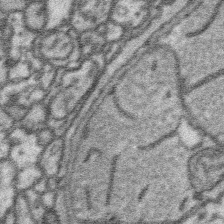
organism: Platynereis dumerilii